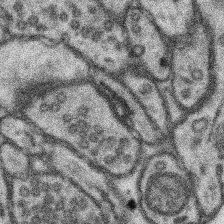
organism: Mouse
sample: Somatosensory cortex neuropil